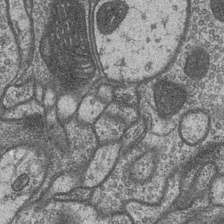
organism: Drosophila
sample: Optic medulla